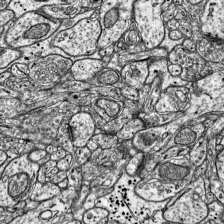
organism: Mouse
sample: Visual Cortex